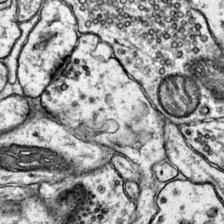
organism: Mouse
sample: Primary visual cortex